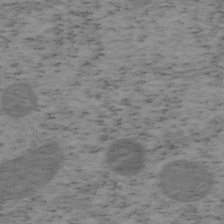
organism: Mouse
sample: OT-I killer T cells with ID8 ovarian cancer cells